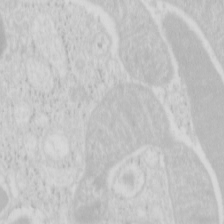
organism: Mouse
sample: Pancreas